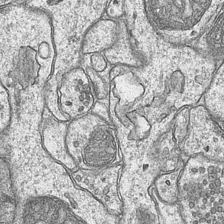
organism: Mouse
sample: CA1 Hippocampus